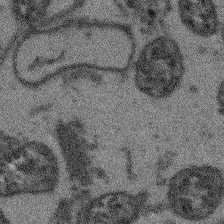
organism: Arabidopsis thaliana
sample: Root tip